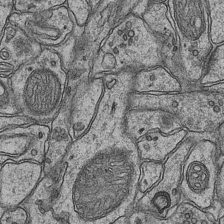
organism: Mouse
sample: CA1 Hippocampus